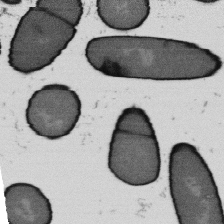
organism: B. subtilis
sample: Bacterial spore